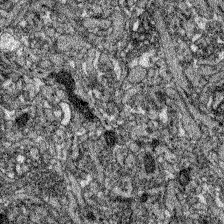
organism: Zebrafish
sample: Larval olfactory bulb